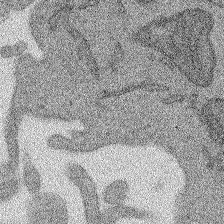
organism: Human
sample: HeLa cells